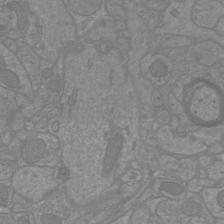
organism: Mouse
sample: Cortical neurons